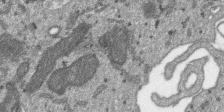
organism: Human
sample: Lung epithelial cells infected with SARS-CoV-2